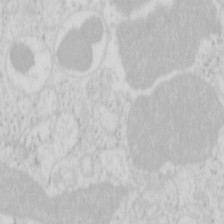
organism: Mouse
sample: Pancreas